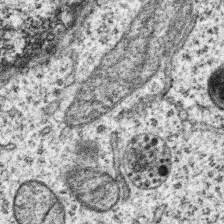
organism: Human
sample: HeLa cells